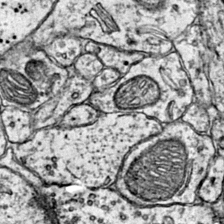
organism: Mouse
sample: Primary visual cortex